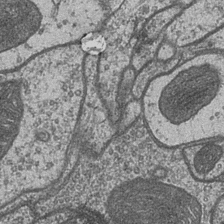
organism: Drosophila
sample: Optic medulla